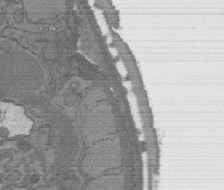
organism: C. elegans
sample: AFD neurons C. elegans